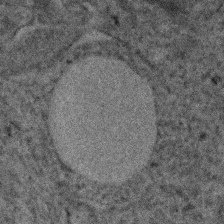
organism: Human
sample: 1205lu cells